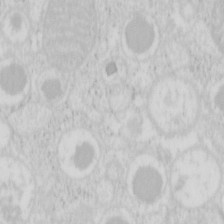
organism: Mouse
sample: Pancreas